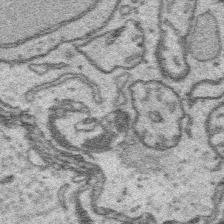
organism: Platynereis dumerilii